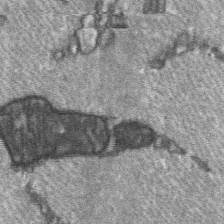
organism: C57BL Mouse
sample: Soleus